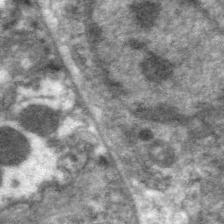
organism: C. elegans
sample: Pharynx